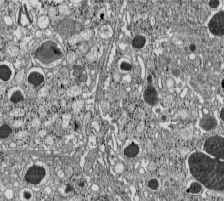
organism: C57BL Mouse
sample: Pancreatic islet